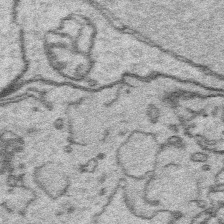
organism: Platynereis dumerilii